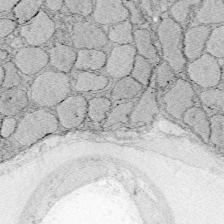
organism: Zebrafish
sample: Whole-Brain